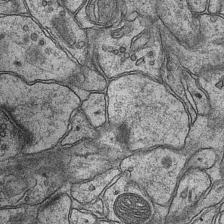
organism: Mouse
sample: CA1 Hippocampus